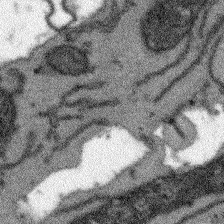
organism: Arabidopsis thaliana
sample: Root tip